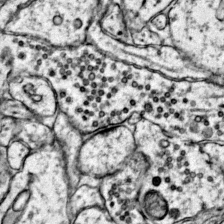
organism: Mouse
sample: Primary visual cortex